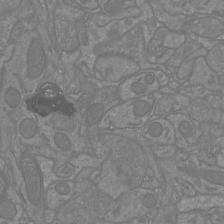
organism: Mouse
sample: Cortical neurons